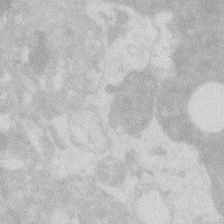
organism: Zebrafish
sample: Macrophage